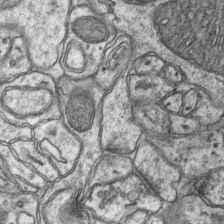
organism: Mouse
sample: CA1 Hippocampus